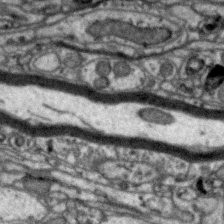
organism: Zebra finch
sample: Brain